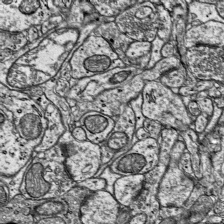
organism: Mouse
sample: Visual Cortex